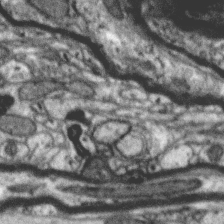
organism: Zebra finch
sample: Brain